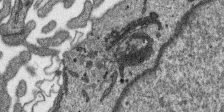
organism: Human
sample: Lung epithelial cells infected with SARS-CoV-2